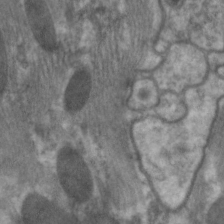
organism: C. elegans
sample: Pharynx